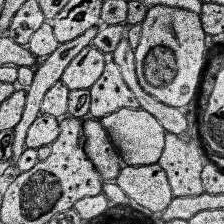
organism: Human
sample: Temporal Lobe